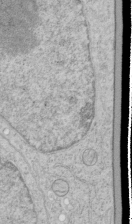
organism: Human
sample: Mitochondria in HCT116 cells